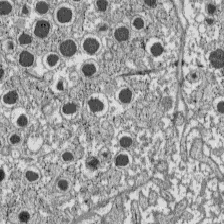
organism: C57BL Mouse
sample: Pancreatic islet